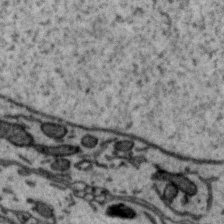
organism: Zebra finch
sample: Brain